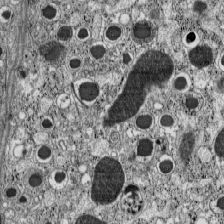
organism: C57BL Mouse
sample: Pancreatic islet